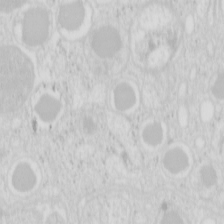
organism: Mouse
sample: Pancreas